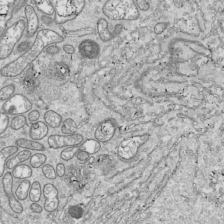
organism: Drosophila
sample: Cell division; meiosis; drosophila spermatocytes